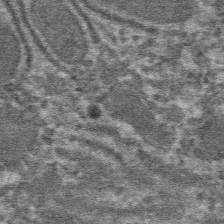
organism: Mouse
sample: Mouse hepatocytes